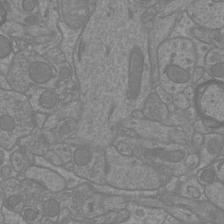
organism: Mouse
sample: Cortical neurons